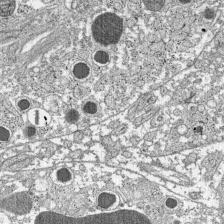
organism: C57BL Mouse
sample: Pancreatic islet